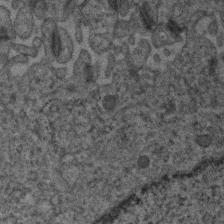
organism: Human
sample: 1205lu cells